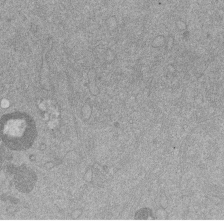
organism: Mouse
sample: Dividing mouse embryo 1 cell stage